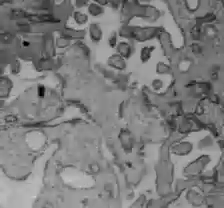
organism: C57BL Mouse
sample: Liver